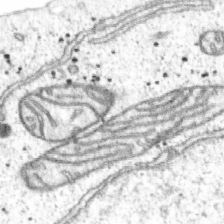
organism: Human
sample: HeLa cells